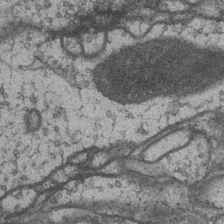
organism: Drosophila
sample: Optic medulla